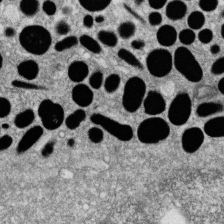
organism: Zebrafish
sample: Cilia; retinal pigment epithelium